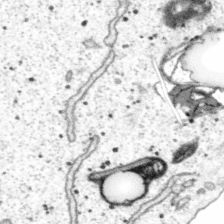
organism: Human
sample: HeLa cells